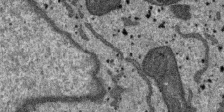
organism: Human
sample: Lung epithelial cells, uninfected (mock) control